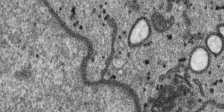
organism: Human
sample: Lung epithelial cells infected with SARS-CoV-2